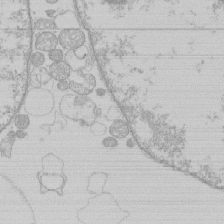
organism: Human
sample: Macrophage cells